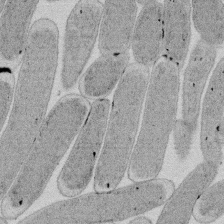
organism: E. coli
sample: Bacterial nucleoid